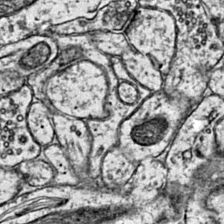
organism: Mouse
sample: Primary visual cortex